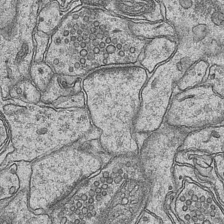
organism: Mouse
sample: CA1 Hippocampus